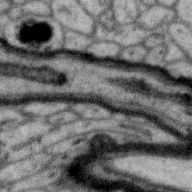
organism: Zebra finch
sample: Brain